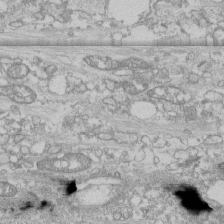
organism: Human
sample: CRL-1474